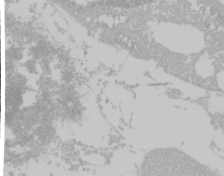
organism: Mouse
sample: Cancer cell death in ED-1 cells